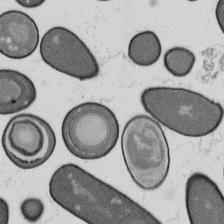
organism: B. subtilis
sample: Bacterial spore